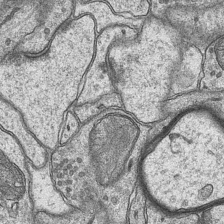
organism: Mouse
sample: CA1 Hippocampus